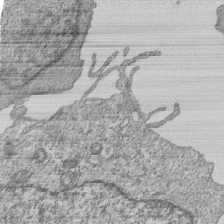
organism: Human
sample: MDA-MB-231 cells